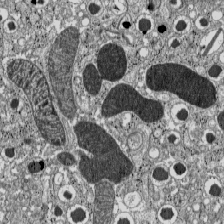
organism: C57BL Mouse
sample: Pancreatic islet